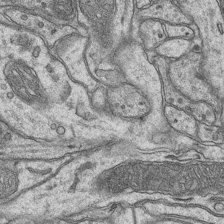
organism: Mouse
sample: CA1 Hippocampus